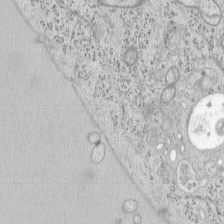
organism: Mouse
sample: OT-I killer T cells with ID8 ovarian cancer cells